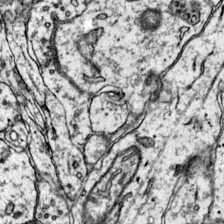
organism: Mouse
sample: Primary visual cortex